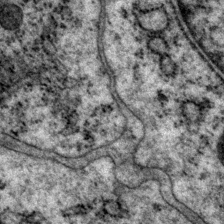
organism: P. pacificus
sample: Pharynx